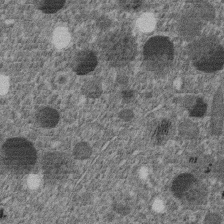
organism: C. elegans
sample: C. elegans embryo early stage